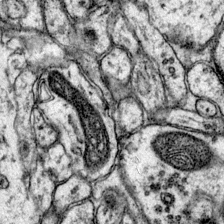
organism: Mouse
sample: Primary visual cortex